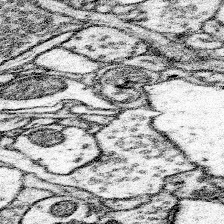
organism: Mouse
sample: Somatosensory cortex neuropil